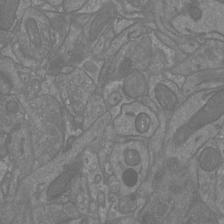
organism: Mouse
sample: Cortical neurons